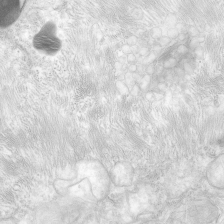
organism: Human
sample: Neocortex